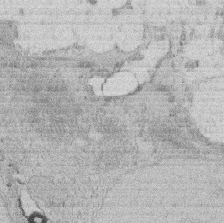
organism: Rat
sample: Salivary granule